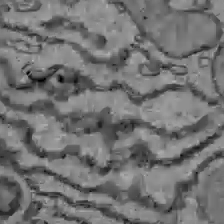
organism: C57BL Mouse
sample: Liver